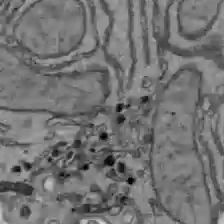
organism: C57BL Mouse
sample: Liver